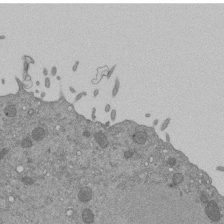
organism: Mouse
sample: ED-1 cell nuclei; centrioles